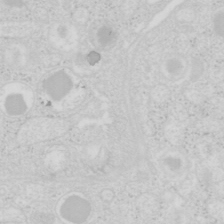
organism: Mouse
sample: Pancreas